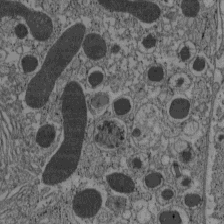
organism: C57BL Mouse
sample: Pancreatic islet